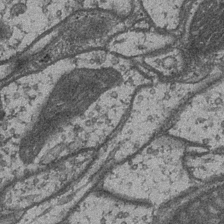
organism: Drosophila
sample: Optic medulla